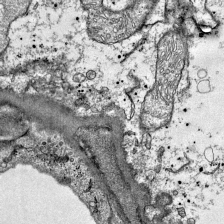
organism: Mouse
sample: Visual Cortex